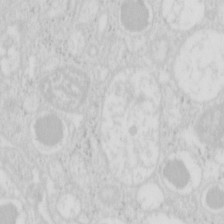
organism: Mouse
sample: Pancreas